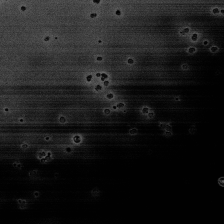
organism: Human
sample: Activated Jurkat CD4+ T cells